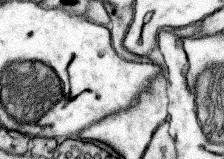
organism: Mouse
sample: Somatosensory cortex neuropil